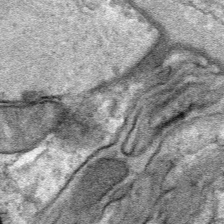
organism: Mouse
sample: Mouse Salivary gland